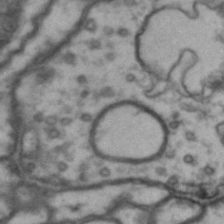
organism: Drosophila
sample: Brain